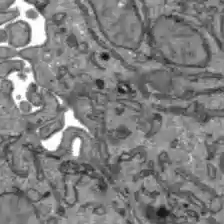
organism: C57BL Mouse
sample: Liver